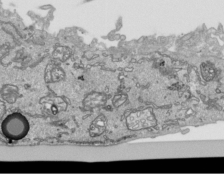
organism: Human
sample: Mitochondria in HCT116 cells